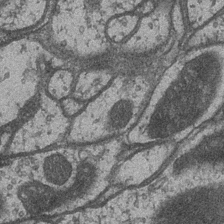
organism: Drosophila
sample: Optic medulla